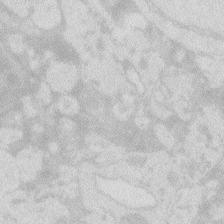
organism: Zebrafish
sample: Macrophage